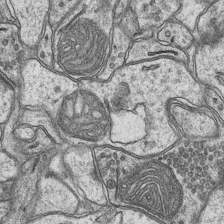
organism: Mouse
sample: CA1 Hippocampus